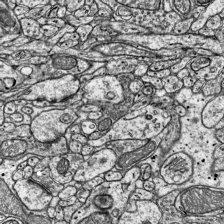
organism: Mouse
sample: Visual Cortex